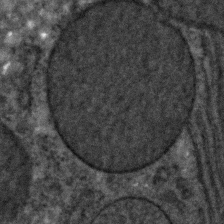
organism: C. elegans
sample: C. elegans embryo